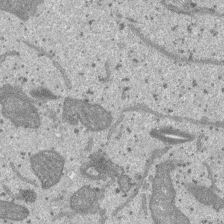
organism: Human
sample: Lung epithelial cells infected with SARS-CoV-2